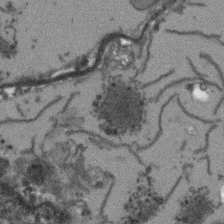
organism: Arabidopsis thaliana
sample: Root tip